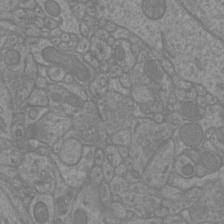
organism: Mouse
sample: Cortical neurons